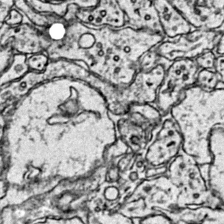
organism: Mouse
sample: Primary visual cortex